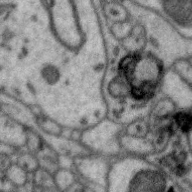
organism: Zebra finch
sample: Brain